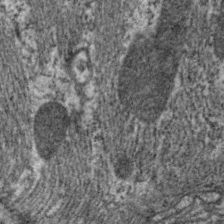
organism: C. elegans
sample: Pharynx